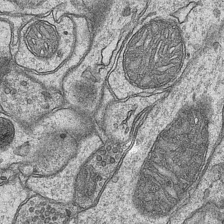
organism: Mouse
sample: CA1 Hippocampus